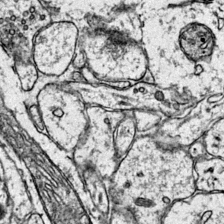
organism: Mouse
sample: Primary visual cortex